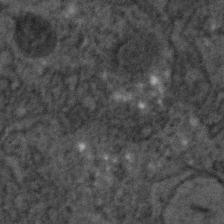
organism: C. elegans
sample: C. elegans embryo